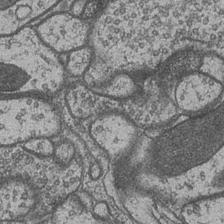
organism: Drosophila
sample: Optic medulla